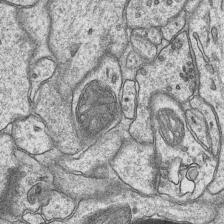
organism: Mouse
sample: CA1 Hippocampus